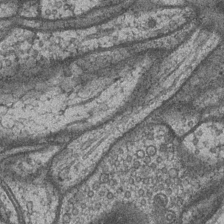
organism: Drosophila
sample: Optic medulla